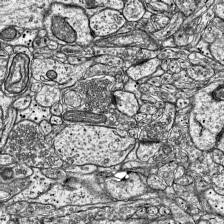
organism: Mouse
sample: Visual Cortex